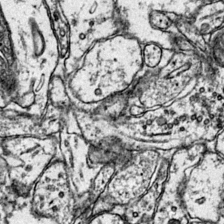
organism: Mouse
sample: Primary visual cortex